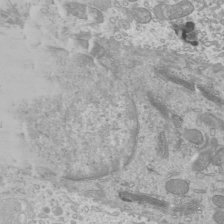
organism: Mouse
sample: Cilia; mouse epididymis